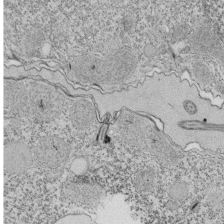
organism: Tetrahymena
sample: Cilia in tetrahymena